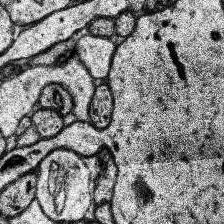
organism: Human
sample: Temporal Lobe